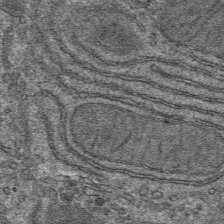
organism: Mouse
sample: Mouse hepatocytes